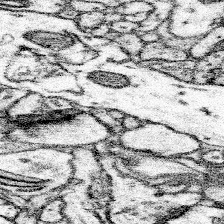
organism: Mouse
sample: Somatosensory cortex neuropil